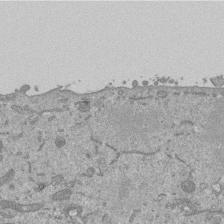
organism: Mouse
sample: ED-1 cell nuclei; centrioles